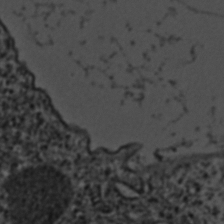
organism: C. elegans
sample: C. elegans embryo